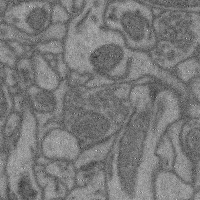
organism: Mouse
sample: Cerebral cortex